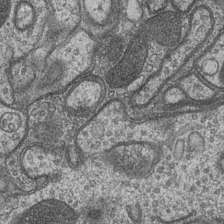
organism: Drosophila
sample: Optic medulla